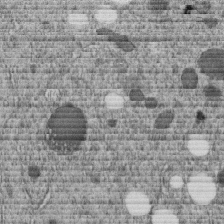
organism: C. elegans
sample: C. elegans embryo early stage